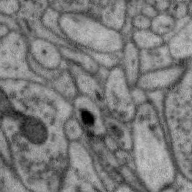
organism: Zebra finch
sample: Brain